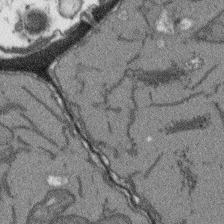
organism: Arabidopsis thaliana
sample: Root tip